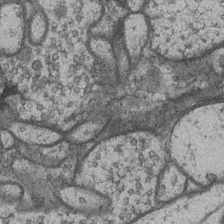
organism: Drosophila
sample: Optic medulla